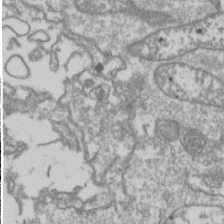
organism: Drosophila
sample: Cell division; meiosis; drosophila spermatocytes